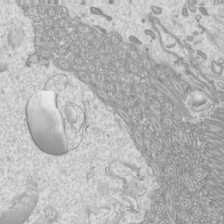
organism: Mouse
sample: Cilia; mouse epididymis